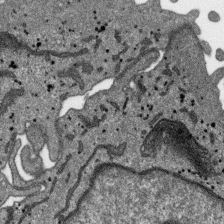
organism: Human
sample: Lung epithelial cells, uninfected (mock) control